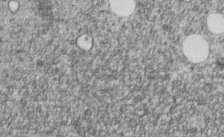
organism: C. elegans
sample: C. elegans embryo early stage